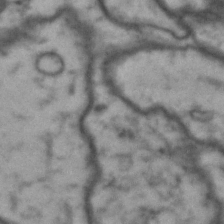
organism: Drosophila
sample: Brain